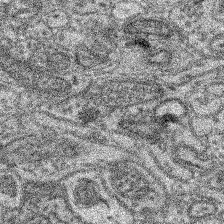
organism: Mouse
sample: Retina